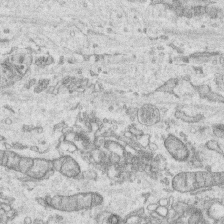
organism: Human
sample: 1205lu cells